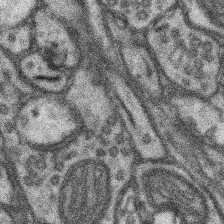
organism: Mouse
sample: Somatosensory cortex neuropil